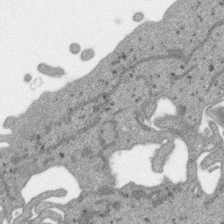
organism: Human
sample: Lung epithelial cells infected with SARS-CoV-2